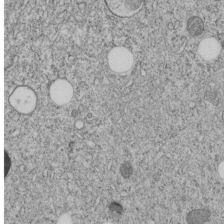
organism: C. elegans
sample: C. elegans embryo early stage